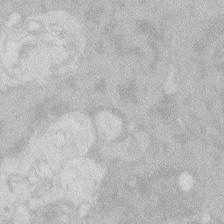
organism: Zebrafish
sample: Macrophage